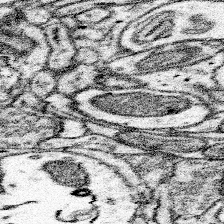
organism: Mouse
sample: Somatosensory cortex neuropil